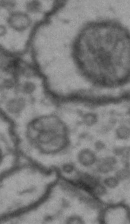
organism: Drosophila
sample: Brain